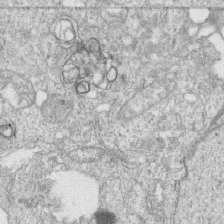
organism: Human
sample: HeLa cell HIV synapse